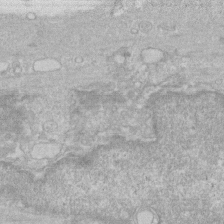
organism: Human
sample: Fibroblast cells